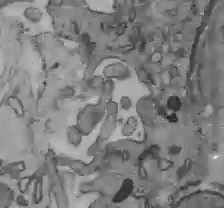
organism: C57BL Mouse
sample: Liver